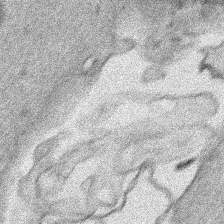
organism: Human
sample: Mitochondria in HCT116 cells